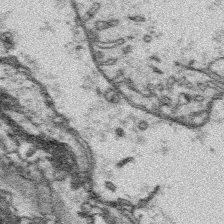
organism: Platynereis dumerilii